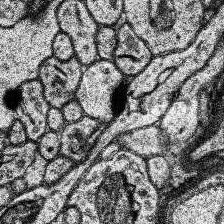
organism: Human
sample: Temporal Lobe